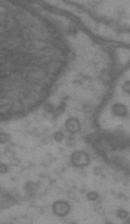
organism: Drosophila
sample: Brain